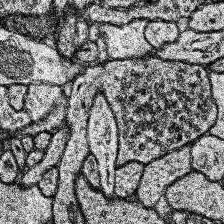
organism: Human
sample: Temporal Lobe